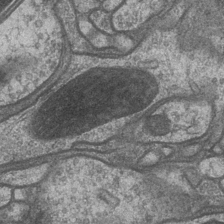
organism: Drosophila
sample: Optic medulla